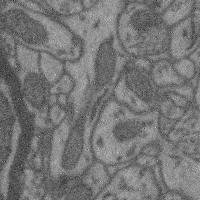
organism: Mouse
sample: Cerebral cortex